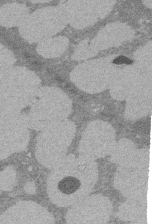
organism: Rat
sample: Salivary granule